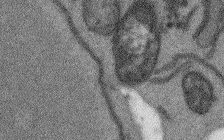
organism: Arabidopsis thaliana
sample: Root tip